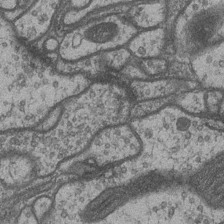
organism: Drosophila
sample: Optic medulla